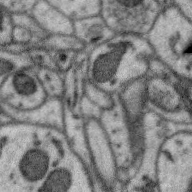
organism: Zebra finch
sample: Brain